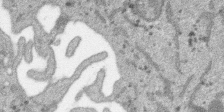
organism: Human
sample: Lung epithelial cells infected with SARS-CoV-2